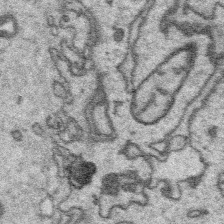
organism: Platynereis dumerilii